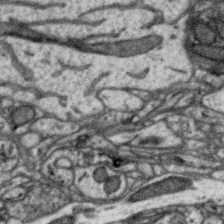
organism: Zebra finch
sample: Brain